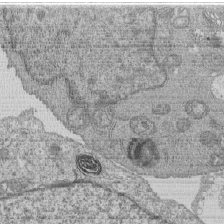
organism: Human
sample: MDA-MB-231 cells